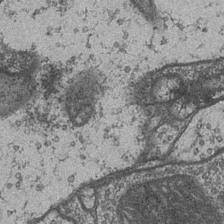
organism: Drosophila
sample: Optic medulla